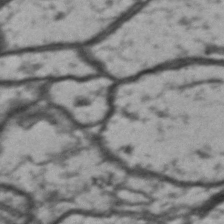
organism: Drosophila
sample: Brain